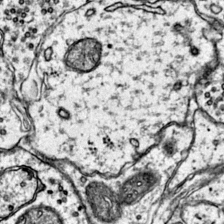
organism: Mouse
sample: Primary visual cortex